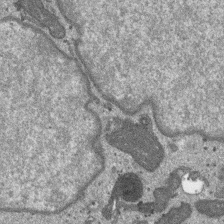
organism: Human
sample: Lung epithelial cells infected with SARS-CoV-2